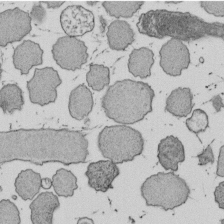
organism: E. coli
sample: Bacterial nucleoid